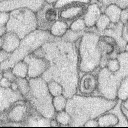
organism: Rabbit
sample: Retina